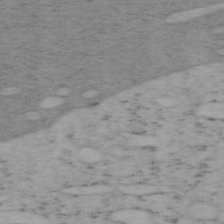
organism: Mouse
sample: OT-I killer T cells with ID8 ovarian cancer cells